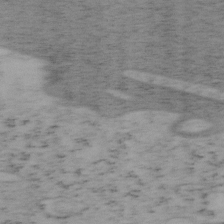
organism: Mouse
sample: OT-I killer T cells with ID8 ovarian cancer cells